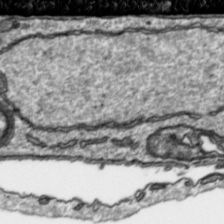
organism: Toxoplasma gondii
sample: Parasites in a vacuole inside a host cell